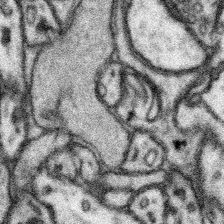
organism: Mouse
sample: Somatosensory cortex neuropil